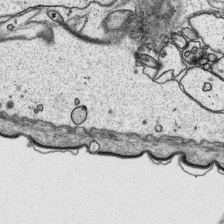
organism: Platynereis dumerilii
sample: Parapodia